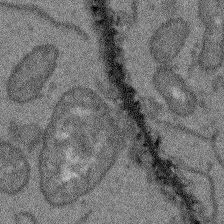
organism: Arabidopsis thaliana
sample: Root tip